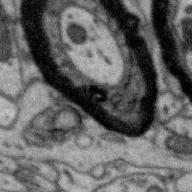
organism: Zebra finch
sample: Brain